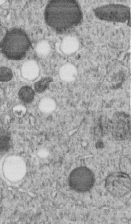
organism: C. elegans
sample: C. elegans embryo early stage